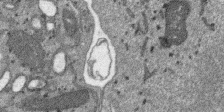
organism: Human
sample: Lung epithelial cells infected with SARS-CoV-2